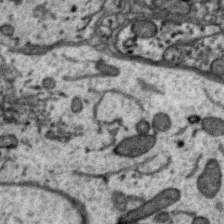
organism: Zebra finch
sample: Brain